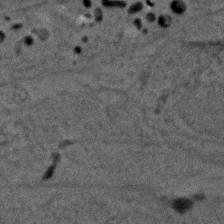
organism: Zebrafish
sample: Zebrafish embryo